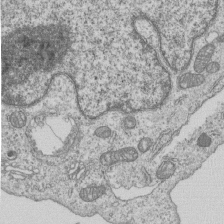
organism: Human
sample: MDA-MB-231 cells